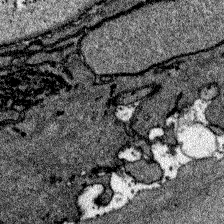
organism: Zebrafish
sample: Larval olfactory bulb